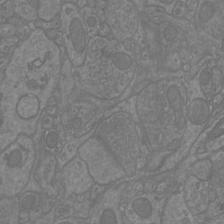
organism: Mouse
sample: Cortical neurons